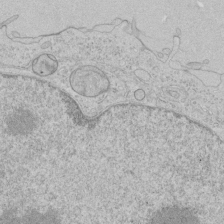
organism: Human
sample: Mitochondria in HCT116 cells